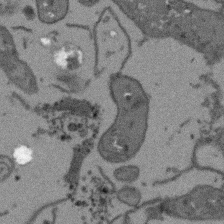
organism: Arabidopsis thaliana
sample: Root tip